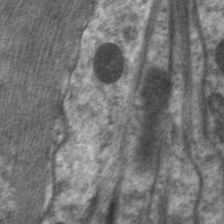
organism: C. elegans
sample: Pharynx